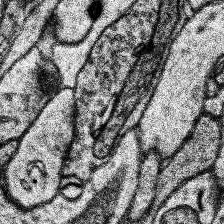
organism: Human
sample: Temporal Lobe